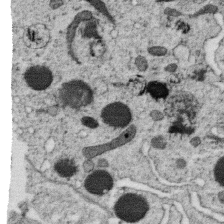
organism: C. elegans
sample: C. elegans oocyte; sperm cells